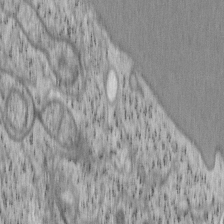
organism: Human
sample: HeLa cells